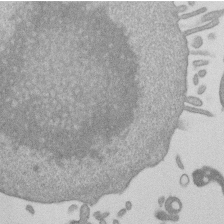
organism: Mouse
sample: Dividing mouse embryo 1 cell stage